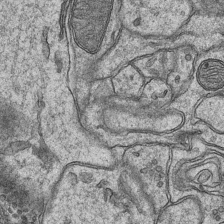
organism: Mouse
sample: CA1 Hippocampus